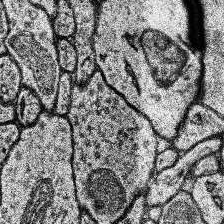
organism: Human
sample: Temporal Lobe